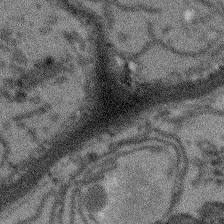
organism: Arabidopsis thaliana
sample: Root tip